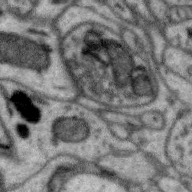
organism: Zebra finch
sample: Brain